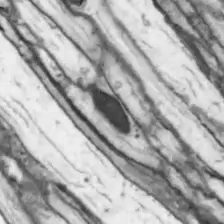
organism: Drosophila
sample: Optic lobe